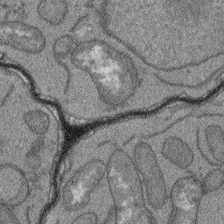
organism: Arabidopsis thaliana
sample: Root tip